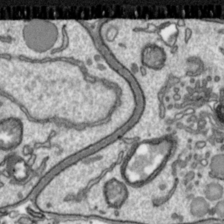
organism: Toxoplasma gondii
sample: Parasites in a vacuole inside a host cell